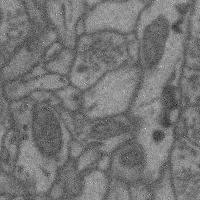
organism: Mouse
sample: Cerebral cortex